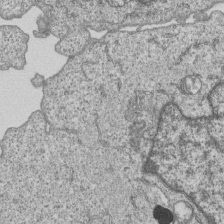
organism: Human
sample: MDA-MB-231 cells